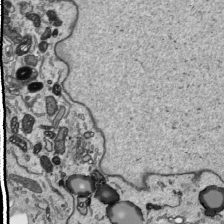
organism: Human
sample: Mitochondria in HCT116 cells